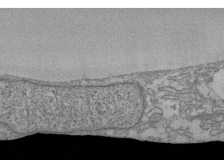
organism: Human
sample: Fibroblast cells